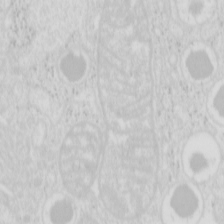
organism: Mouse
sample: Pancreas